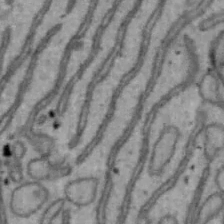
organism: Mouse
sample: Liver